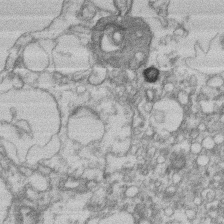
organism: Mouse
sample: T cell stromal cell synapse